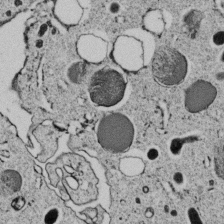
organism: C. elegans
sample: C. elegans embryo early stage